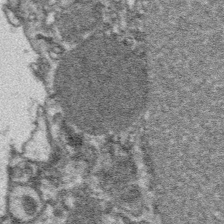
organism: Platynereis dumerilii